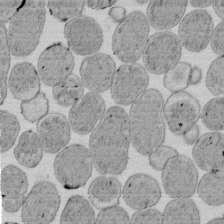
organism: E. coli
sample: Bacterial nucleoid